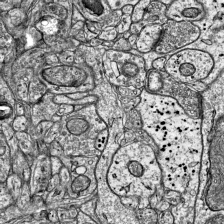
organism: Mouse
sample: Visual Cortex